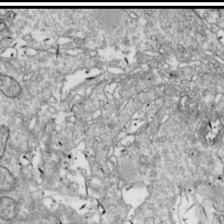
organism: Drosophila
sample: Cell division; meiosis; drosophila spermatocytes